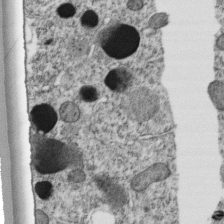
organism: C. elegans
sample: C. elegans embryo early stage